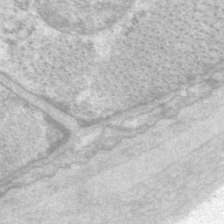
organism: P. pacificus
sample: Pharynx